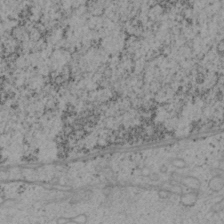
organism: Human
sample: HeLa cells